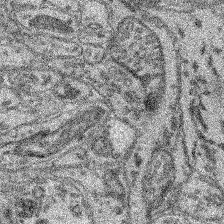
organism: Mouse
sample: Retina